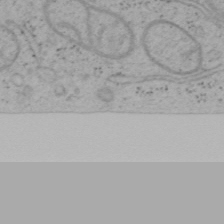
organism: Human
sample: HeLa cells